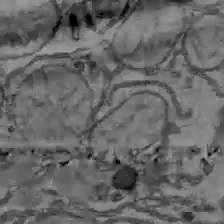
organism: C57BL Mouse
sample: Liver